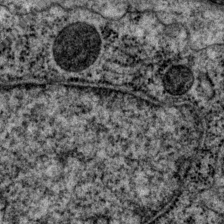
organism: P. pacificus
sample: Pharynx